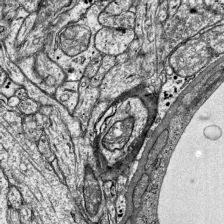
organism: Mouse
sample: Visual Cortex